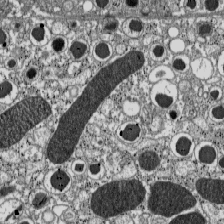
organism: C57BL Mouse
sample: Pancreatic islet